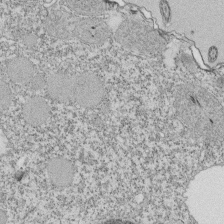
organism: Tetrahymena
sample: Cilia in tetrahymena